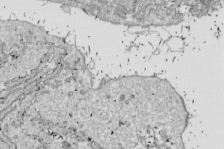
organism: Drosophila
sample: Cell division; meiosis; drosophila spermatocytes